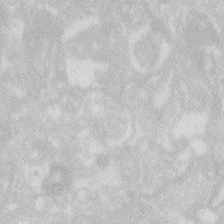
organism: Zebrafish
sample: Macrophage